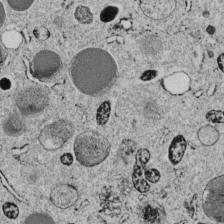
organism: C. elegans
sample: C. elegans embryo early stage